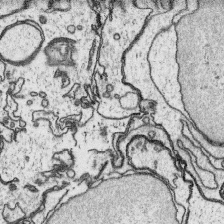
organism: Platynereis dumerilii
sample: Parapodia